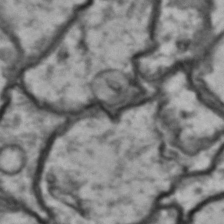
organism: Drosophila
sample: Brain